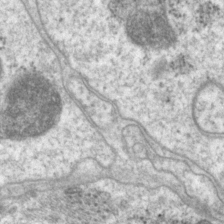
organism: P. pacificus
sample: Pharynx